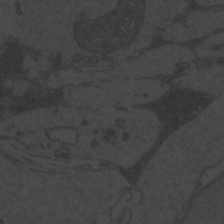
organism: Zebrafish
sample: Macrophage infected with Toxoplasma gondii